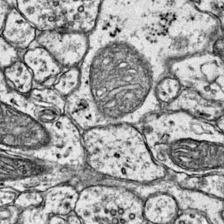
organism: Mouse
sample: Primary visual cortex